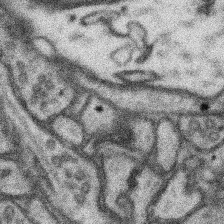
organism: Mouse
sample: Somatosensory cortex neuropil